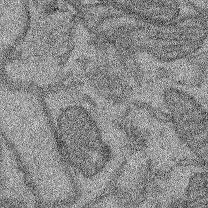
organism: Human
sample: HeLa cells